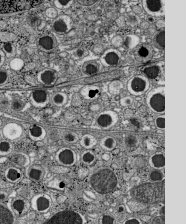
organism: C57BL Mouse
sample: Pancreatic islet